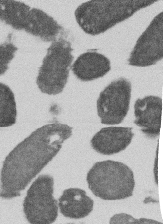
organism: E. coli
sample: Bacterial nucleoid